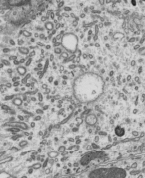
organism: Mouse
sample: Mouse epididymis efferent ductule cilia